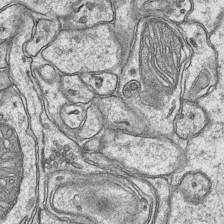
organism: Mouse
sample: CA1 Hippocampus